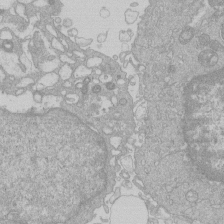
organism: Human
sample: Macrophage cells